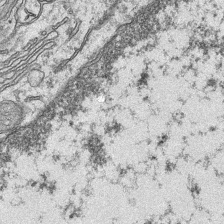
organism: Mouse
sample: CA1 Hippocampus